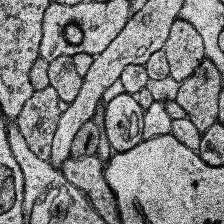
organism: Human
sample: Temporal Lobe